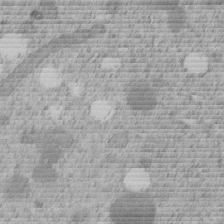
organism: C. elegans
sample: C. elegans embryo early stage